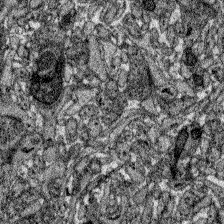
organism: Zebrafish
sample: Larval olfactory bulb